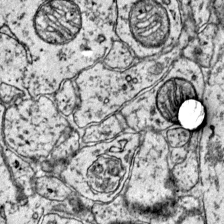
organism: Mouse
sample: Primary visual cortex